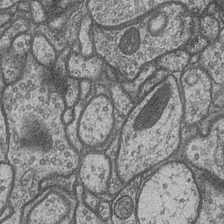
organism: Drosophila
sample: Optic medulla